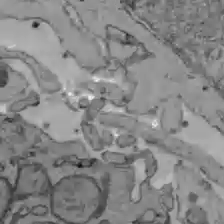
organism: C57BL Mouse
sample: Liver